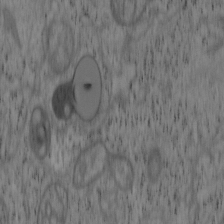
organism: Human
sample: HeLa cells